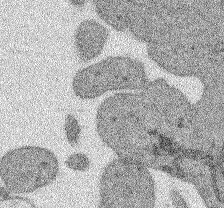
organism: Human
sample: HeLa cells